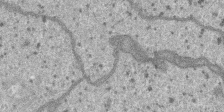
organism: Human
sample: Lung epithelial cells infected with SARS-CoV-2